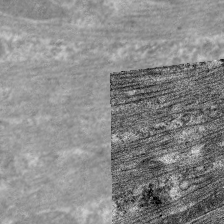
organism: C. elegans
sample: Pharynx